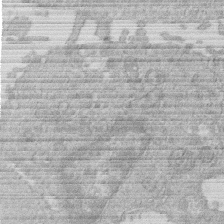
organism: Human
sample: Macrophage cells